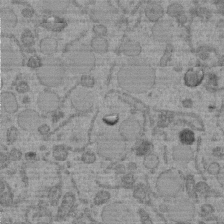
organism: C. elegans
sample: C. elegans embryo early stage